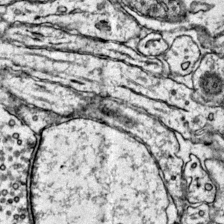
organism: Mouse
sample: Primary visual cortex